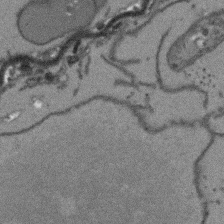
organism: Arabidopsis thaliana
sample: Root tip